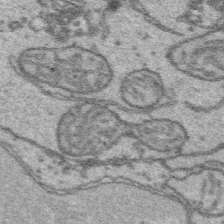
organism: Platynereis dumerilii